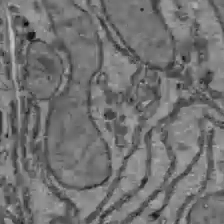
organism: C57BL Mouse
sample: Liver